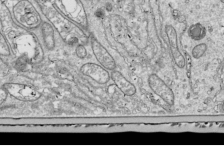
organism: Drosophila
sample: Cell division; meiosis; drosophila spermatocytes